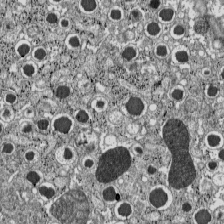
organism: C57BL Mouse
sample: Pancreatic islet